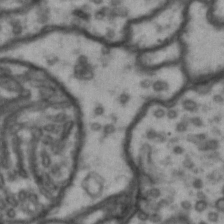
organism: Drosophila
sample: Brain